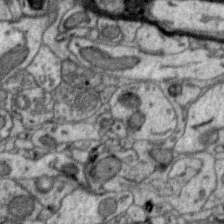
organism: Zebra finch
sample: Brain